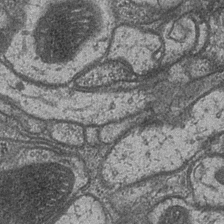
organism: Drosophila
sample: Optic medulla